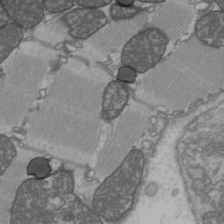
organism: C57BL Mouse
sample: Heart